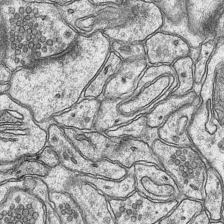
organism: Mouse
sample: CA1 Hippocampus